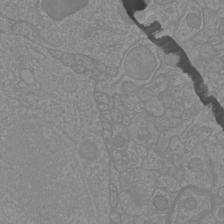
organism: Mouse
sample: Cortical neurons